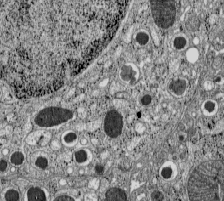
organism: C57BL Mouse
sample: Pancreatic islet